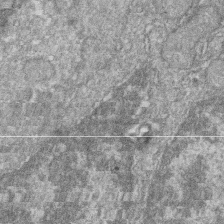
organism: Zebrafish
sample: Cilia; retinal pigment epithelium